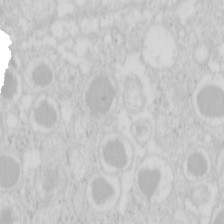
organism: Mouse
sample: Pancreas